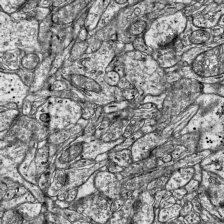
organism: Mouse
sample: Visual Cortex